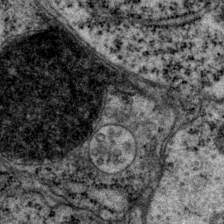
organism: P. pacificus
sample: Pharynx